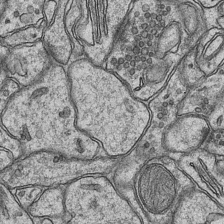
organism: Mouse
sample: CA1 Hippocampus